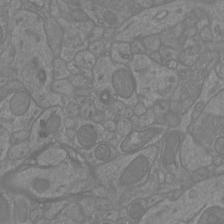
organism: Mouse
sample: Cortical neurons